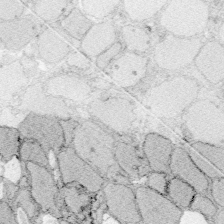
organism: Zebrafish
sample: Whole-Brain